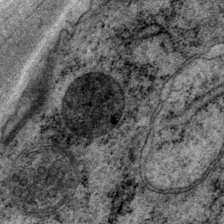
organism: P. pacificus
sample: Pharynx